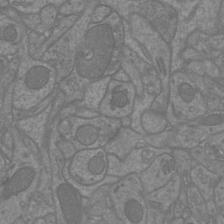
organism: Mouse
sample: Cortical neurons